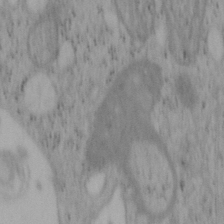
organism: Mouse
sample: OT-I killer T cells with ID8 ovarian cancer cells